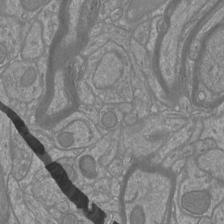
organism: Mouse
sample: Cortical neurons